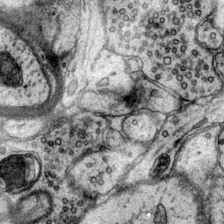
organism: Mouse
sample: Primary visual cortex